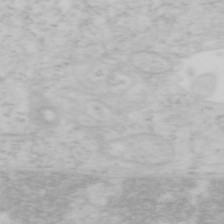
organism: Mouse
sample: OT-I killer T cells with ID8 ovarian cancer cells